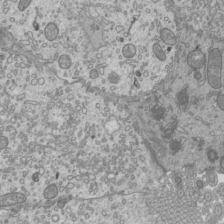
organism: Mouse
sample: Cilia; mouse epididymis